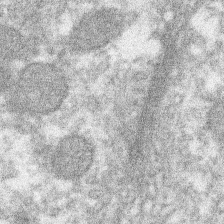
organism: Xenopus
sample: Cilia; centrioles in frog embryo cells